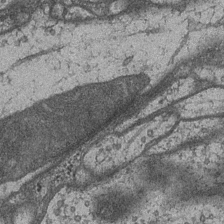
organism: Drosophila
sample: Optic medulla